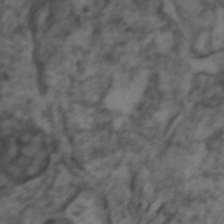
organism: Zebrafish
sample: Zebrafish embryo